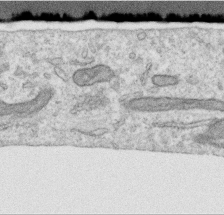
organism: Human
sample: Centriole in RPE cells